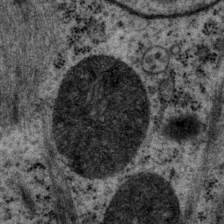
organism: P. pacificus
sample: Pharynx